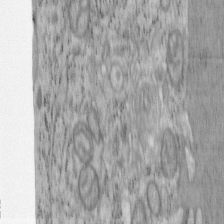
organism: Human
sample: HeLa cells